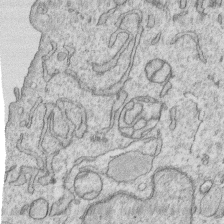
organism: Human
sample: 1205lu cells